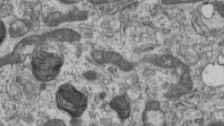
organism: Mouse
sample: Centriole in ependymal cells